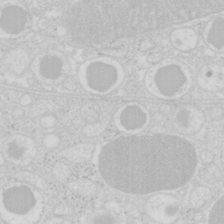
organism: Mouse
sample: Pancreas